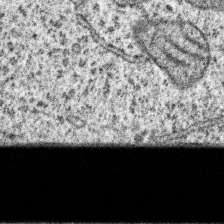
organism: Human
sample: HeLa cells